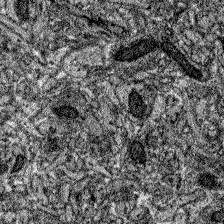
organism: Zebrafish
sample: Larval olfactory bulb